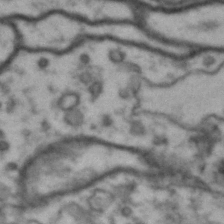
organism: Drosophila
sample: Brain